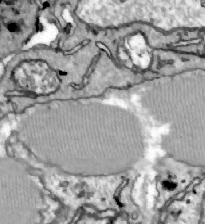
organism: Zebrafish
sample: Actinotrichia fibers